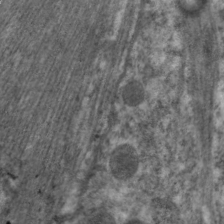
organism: C. elegans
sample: Pharynx